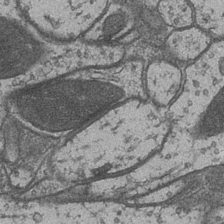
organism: Drosophila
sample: Optic medulla